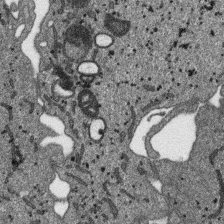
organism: Human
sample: Lung epithelial cells infected with SARS-CoV-2